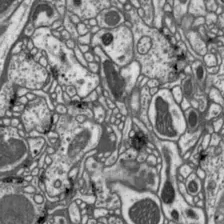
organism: Drosophila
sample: Protocerebral bridge